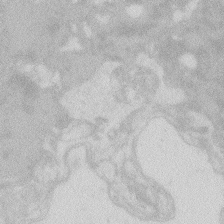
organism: Zebrafish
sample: Macrophage